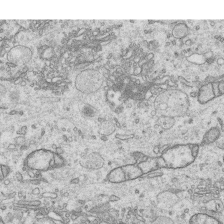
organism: Human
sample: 1205lu cells